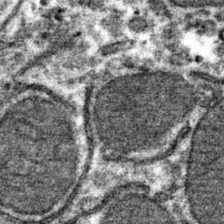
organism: Mouse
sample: Mouse hepatocytes